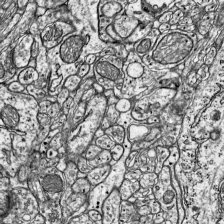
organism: Mouse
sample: Visual Cortex